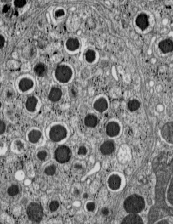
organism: C57BL Mouse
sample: Pancreatic islet